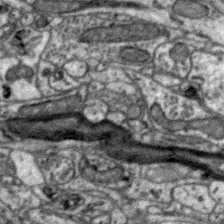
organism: Zebra finch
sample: Brain